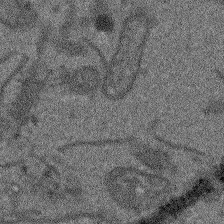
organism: Arabidopsis thaliana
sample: Root tip